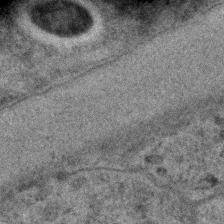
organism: C. elegans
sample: C. elegans embryo